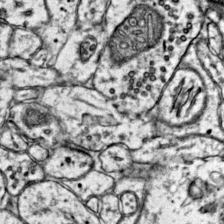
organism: Mouse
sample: Primary visual cortex